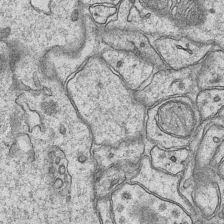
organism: Mouse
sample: CA1 Hippocampus